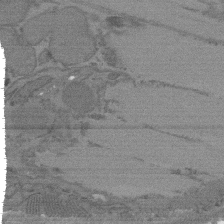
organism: C. elegans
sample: AFD neurons C. elegans